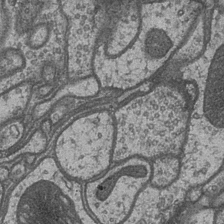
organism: Drosophila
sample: Optic medulla